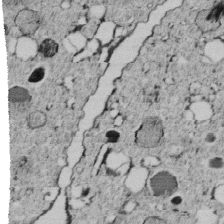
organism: C. elegans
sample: C. elegans embryo early stage